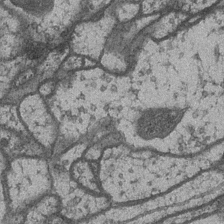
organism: Drosophila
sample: Optic medulla